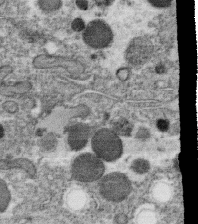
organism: C. elegans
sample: C. elegans oocyte; sperm cells